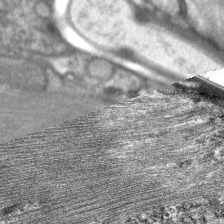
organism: C. elegans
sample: Pharynx